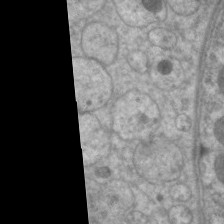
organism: C. elegans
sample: Pharynx